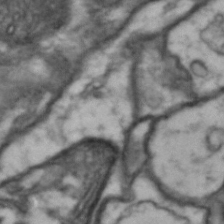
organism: Drosophila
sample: Brain